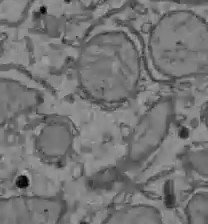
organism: C57BL Mouse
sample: Liver